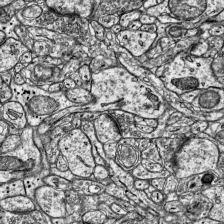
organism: Mouse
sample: Visual Cortex